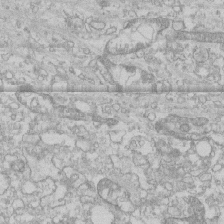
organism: Human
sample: CRL-1474